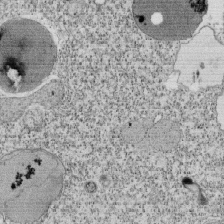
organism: Tetrahymena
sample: Cilia in tetrahymena